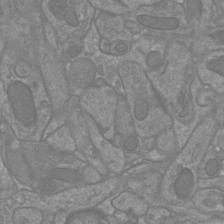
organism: Mouse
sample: Cortical neurons